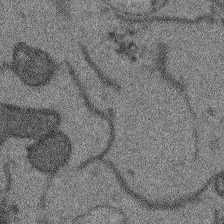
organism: Arabidopsis thaliana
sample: Root tip